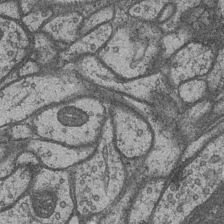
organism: Drosophila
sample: Optic medulla